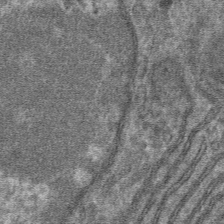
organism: Mouse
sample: Mouse hepatocytes